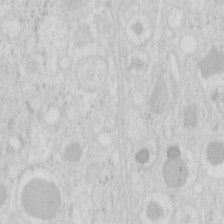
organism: Mouse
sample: Pancreas